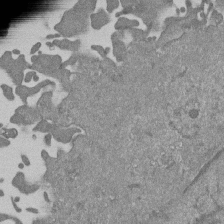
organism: Mouse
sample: ED-1 cell nuclei; centrioles